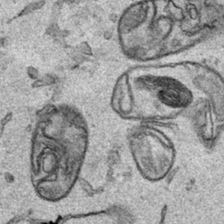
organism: Human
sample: Mitochondria in HCT116 cells